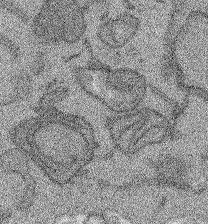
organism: Human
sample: HeLa cells